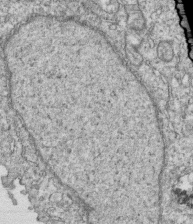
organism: Human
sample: HeLa cell HIV synapse